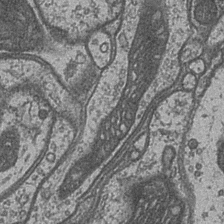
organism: Drosophila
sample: Optic medulla